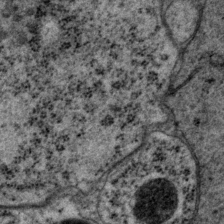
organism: P. pacificus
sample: Pharynx